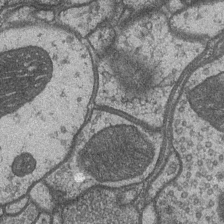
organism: Drosophila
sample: Optic medulla